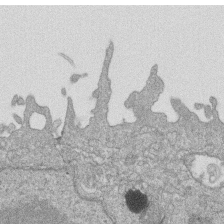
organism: Human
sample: HeLa cell HIV synapse